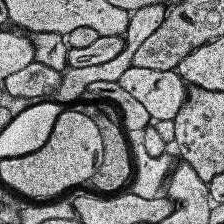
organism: Human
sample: Temporal Lobe